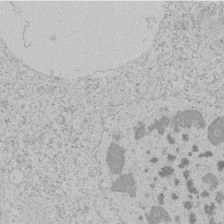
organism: Tetrahymena